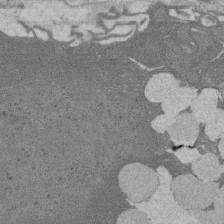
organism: Rat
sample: Salivary granule